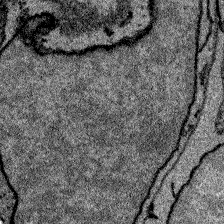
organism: Zebrafish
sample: Larval olfactory bulb